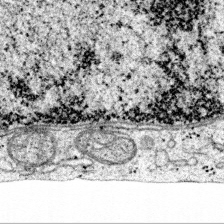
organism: Human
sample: HeLa cells